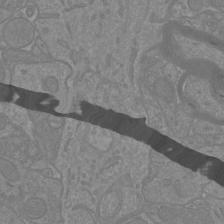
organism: Mouse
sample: Cortical neurons